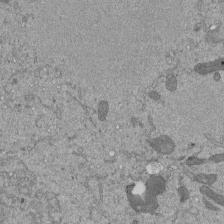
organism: Mouse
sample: ED-1 cell nuclei; centrioles